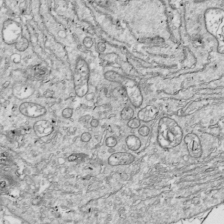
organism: Drosophila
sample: Cell division; meiosis; drosophila spermatocytes